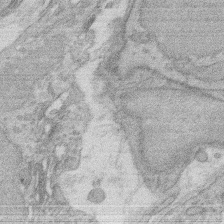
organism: Rat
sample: Salivary granule